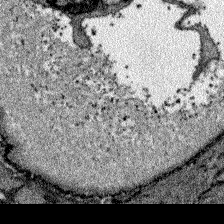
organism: Zebrafish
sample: Larval olfactory bulb